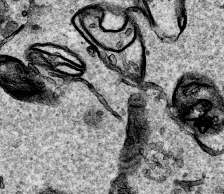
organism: Human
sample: Mitochondria in HCT116 cells